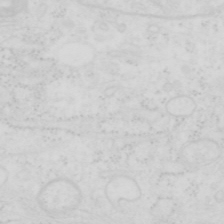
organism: Human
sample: SUM-159 cell